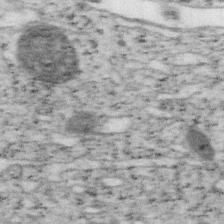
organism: Mouse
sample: OT-I killer T cells with ID8 ovarian cancer cells